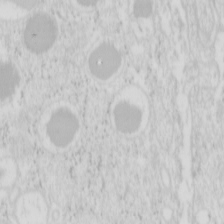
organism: Mouse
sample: Pancreas